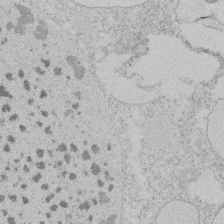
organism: Tetrahymena